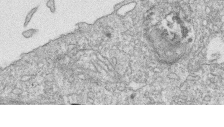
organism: Human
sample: HeLa cell HIV synapse